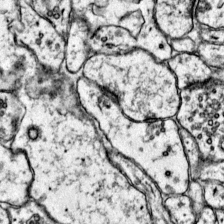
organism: Mouse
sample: Primary visual cortex